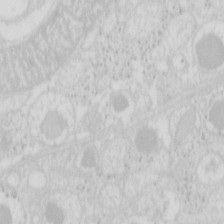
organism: Mouse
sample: Pancreas